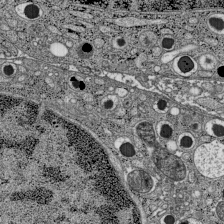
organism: C57BL Mouse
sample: Pancreatic islet